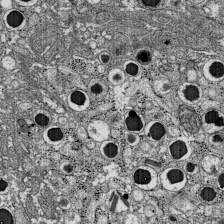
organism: C57BL Mouse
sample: Pancreatic islet